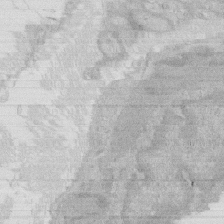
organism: Rat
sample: Salivary granule